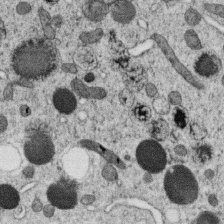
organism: C. elegans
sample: C. elegans oocyte; sperm cells